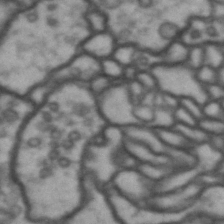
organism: Drosophila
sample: Brain